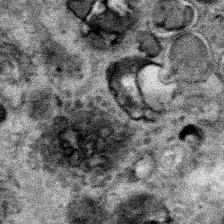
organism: Human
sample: Mitochondria in HCT116 cells